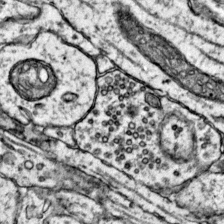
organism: Mouse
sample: Primary visual cortex